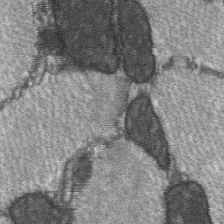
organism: C57BL Mouse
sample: Soleus